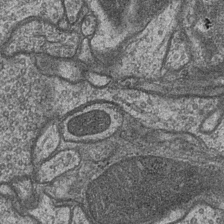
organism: Drosophila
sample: Optic medulla